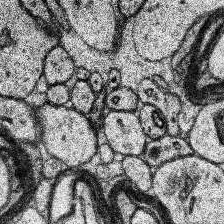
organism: Human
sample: Temporal Lobe